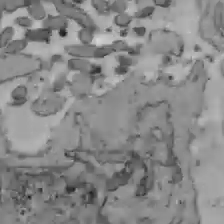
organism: C57BL Mouse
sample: Liver